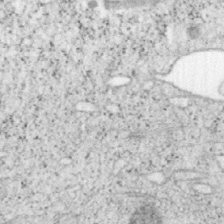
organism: Mouse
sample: OT-I killer T cells with ID8 ovarian cancer cells